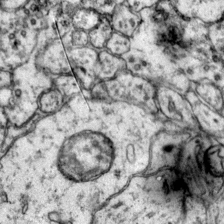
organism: Mouse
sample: Primary visual cortex